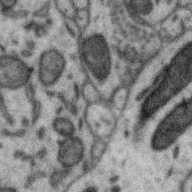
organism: Zebra finch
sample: Brain